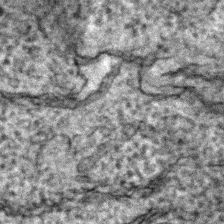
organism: Zebrafish